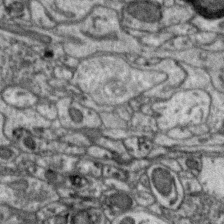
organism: Zebra finch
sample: Brain